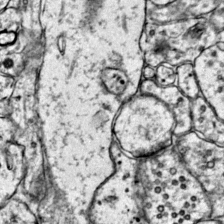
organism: Mouse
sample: Primary visual cortex